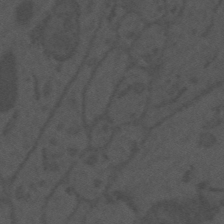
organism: Mouse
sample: Suprachiasmatic nucleus